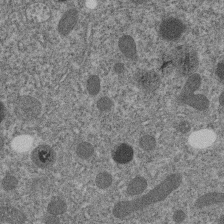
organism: C. elegans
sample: C. elegans embryo early stage